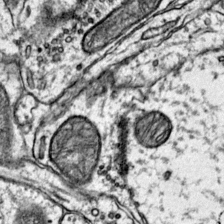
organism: Mouse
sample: Primary visual cortex